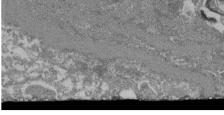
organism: Mouse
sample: Glomerulus